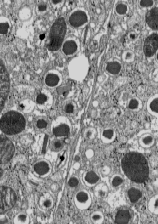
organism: C57BL Mouse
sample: Pancreatic islet